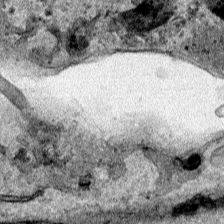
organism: Human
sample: Mitochondria in HCT116 cells